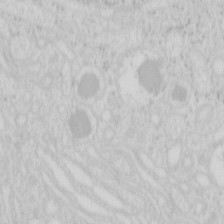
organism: Mouse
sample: Pancreas